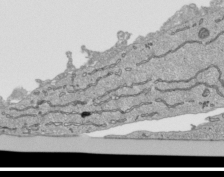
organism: Human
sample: Mitochondria in HCT116 cells